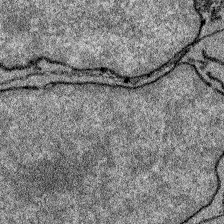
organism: Zebrafish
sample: Larval olfactory bulb